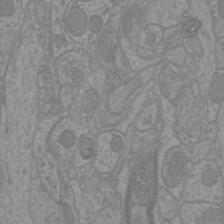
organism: Mouse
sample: Cortical neurons